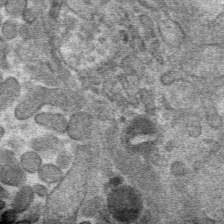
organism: Mouse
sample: Mouse hepatocytes